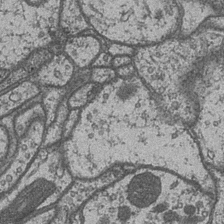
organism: Drosophila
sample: Optic medulla